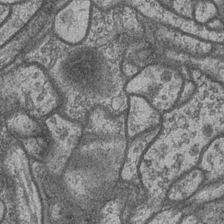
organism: Drosophila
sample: Optic medulla